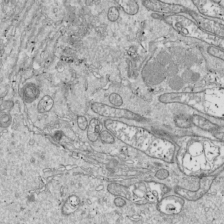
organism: Drosophila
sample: Cell division; meiosis; drosophila spermatocytes